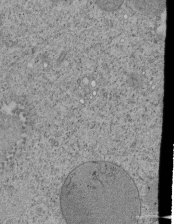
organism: Tetrahymena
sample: Cilia in tetrahymena